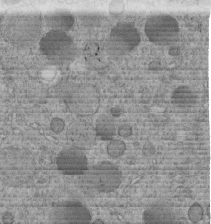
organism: C. elegans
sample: C. elegans embryo early stage